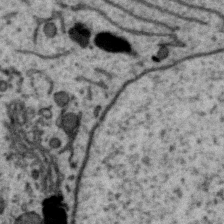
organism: Zebra finch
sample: Brain